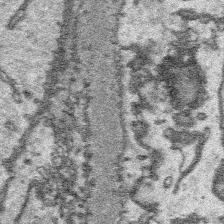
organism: Platynereis dumerilii